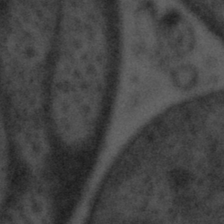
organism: Tuwongella immobilis